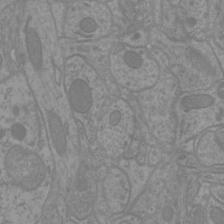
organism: Mouse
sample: Cortical neurons